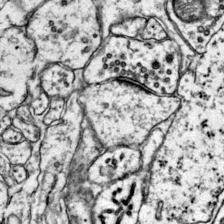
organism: Mouse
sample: Primary visual cortex